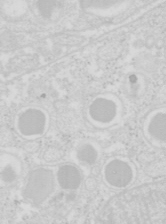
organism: Mouse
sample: Pancreas